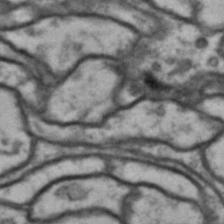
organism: Drosophila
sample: Brain